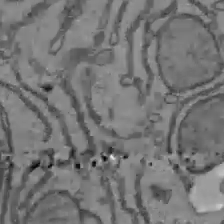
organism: C57BL Mouse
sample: Liver